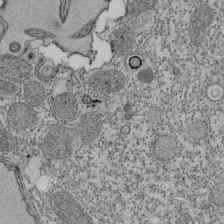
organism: Tetrahymena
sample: Cilia in tetrahymena